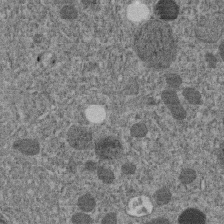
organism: C. elegans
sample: C. elegans embryo early stage